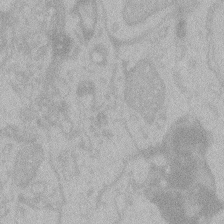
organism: Zebrafish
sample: Macrophage infected with Toxoplasma gondii